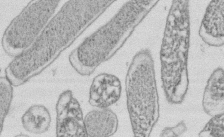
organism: E. coli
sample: Bacterial nucleoid